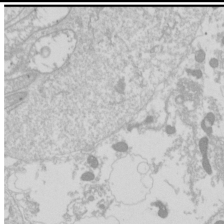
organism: Drosophila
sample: Cell division; meiosis; drosophila spermatocytes